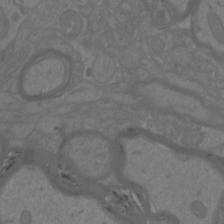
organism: Mouse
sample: Cortical neurons